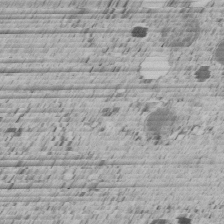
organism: C. elegans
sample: C. elegans embryo early stage